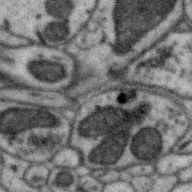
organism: Zebra finch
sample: Brain